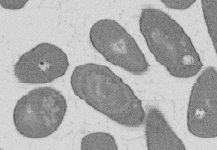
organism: B. subtilis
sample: Bacterial spore